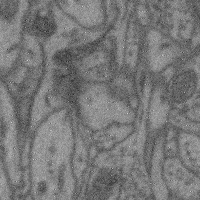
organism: Mouse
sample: Cerebral cortex